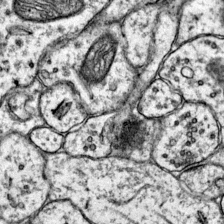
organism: Mouse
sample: Primary visual cortex